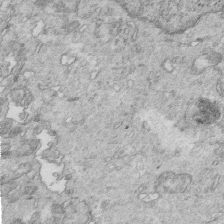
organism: Mouse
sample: Multiciliated cells